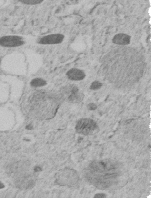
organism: C. elegans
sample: C. elegans embryo early stage